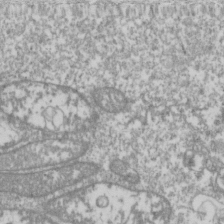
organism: Drosophila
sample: Cell division; meiosis; drosophila spermatocytes